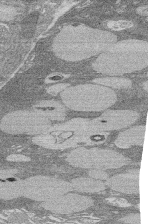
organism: Rat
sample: Salivary granule